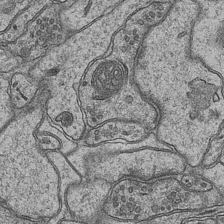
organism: Mouse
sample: CA1 Hippocampus